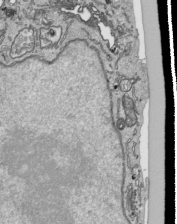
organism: Human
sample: Mitochondria in HCT116 cells